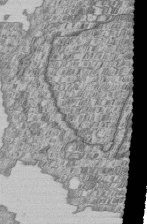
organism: Human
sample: MDA-MB-231 cells